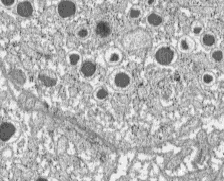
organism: C57BL Mouse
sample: Pancreatic islet